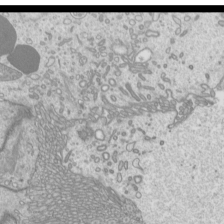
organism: Mouse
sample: Cilia; mouse epididymis